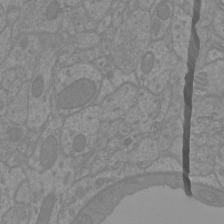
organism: Mouse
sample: Cortical neurons